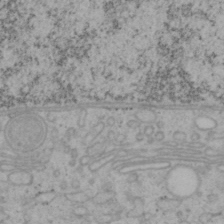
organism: Human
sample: HeLa cells